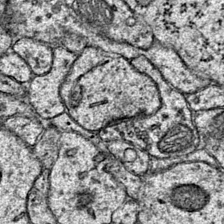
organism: Mouse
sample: Primary visual cortex